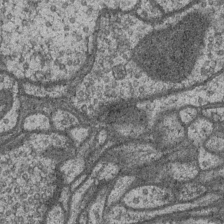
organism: Drosophila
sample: Optic medulla